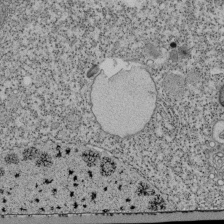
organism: Tetrahymena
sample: Cilia in tetrahymena